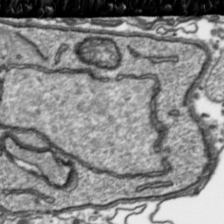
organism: Toxoplasma gondii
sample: Parasites in a vacuole inside a host cell